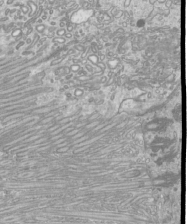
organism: Mouse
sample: Cilia; mouse epididymis